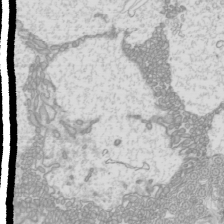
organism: Mouse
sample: Cilia; mouse epididymis